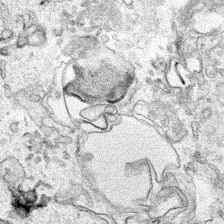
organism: Human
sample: Mitochondria in HCT116 cells